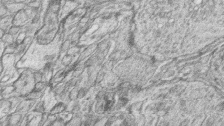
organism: Zebrafish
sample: synaptic ribbons in rod cells and cone cells